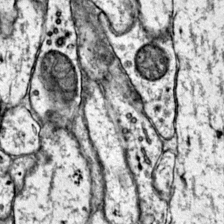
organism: Mouse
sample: Primary visual cortex